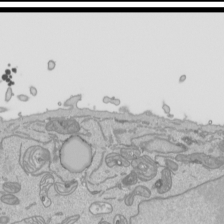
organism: Human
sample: Mitochondria in HCT116 cells